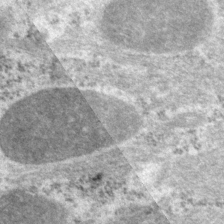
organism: P. pacificus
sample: Pharynx